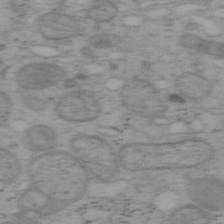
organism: Mouse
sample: OT-I killer T cells with ID8 ovarian cancer cells